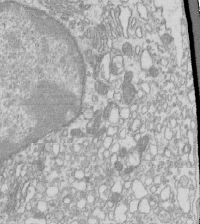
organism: Mouse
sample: Macrophages